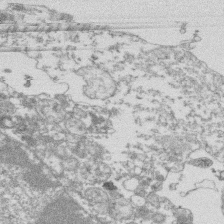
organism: Human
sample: HeLa cell HIV synapse